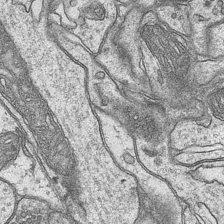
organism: Mouse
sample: CA1 Hippocampus